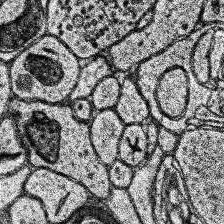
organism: Human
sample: Temporal Lobe